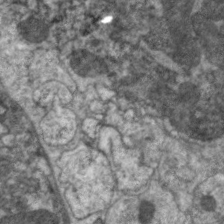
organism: C. elegans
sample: Pharynx